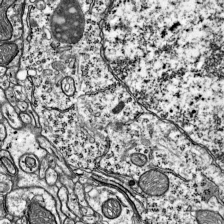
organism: Mouse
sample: Visual Cortex